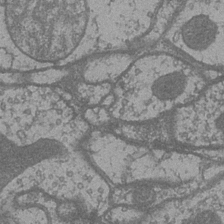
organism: Drosophila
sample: Optic medulla